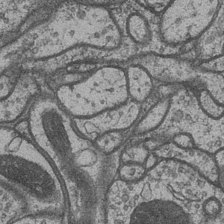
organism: Drosophila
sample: Optic medulla